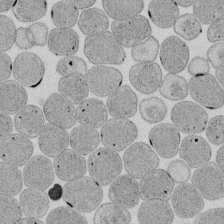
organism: E. coli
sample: Bacterial nucleoid